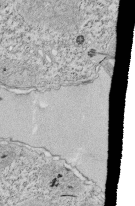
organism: Tetrahymena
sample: Cilia in tetrahymena